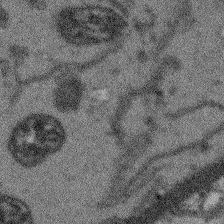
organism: Arabidopsis thaliana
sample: Root tip